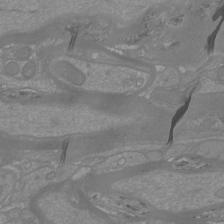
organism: Mouse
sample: Cortical neurons